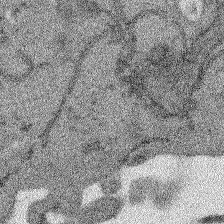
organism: Human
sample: HeLa cells